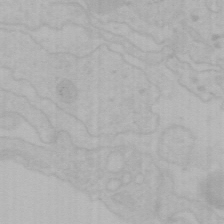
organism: Mouse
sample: Choroid plexus